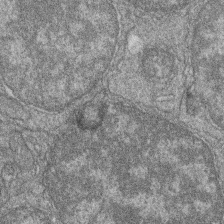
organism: Zebrafish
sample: Cilia; retinal pigment epithelium